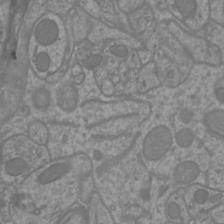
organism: Mouse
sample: Cortical neurons